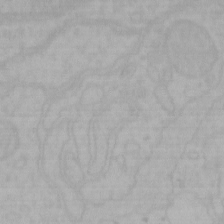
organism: Mouse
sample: Choroid plexus